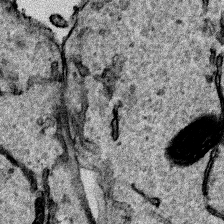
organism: Human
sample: Mitochondria in HCT116 cells